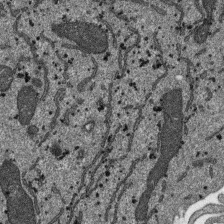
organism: Human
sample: Lung epithelial cells infected with SARS-CoV-2